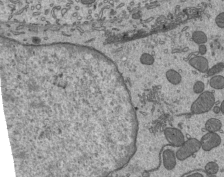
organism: Mouse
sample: Mouse epididymis efferent ductule cilia